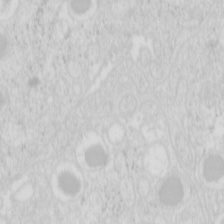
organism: Mouse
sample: Pancreas